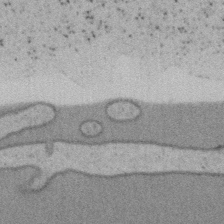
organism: Human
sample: HeLa cells